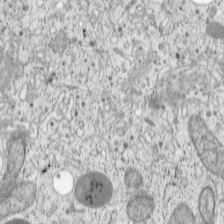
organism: African green monkey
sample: COS-7 cells